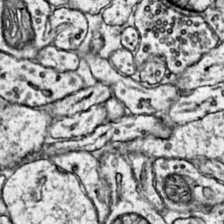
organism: Mouse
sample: Primary visual cortex